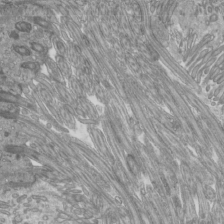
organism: Mouse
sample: Cilia; mouse epididymis